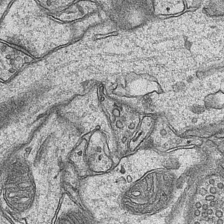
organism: Mouse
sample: CA1 Hippocampus